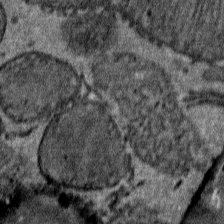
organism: Mouse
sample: Mouse Salivary gland